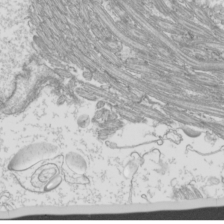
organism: Mouse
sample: Cilia; mouse epididymis